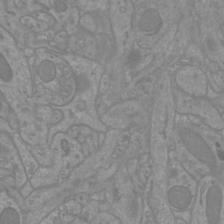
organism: Mouse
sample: Cortical neurons